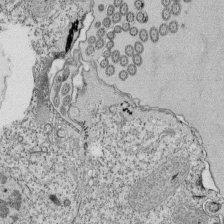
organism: Tetrahymena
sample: Cilia in tetrahymena